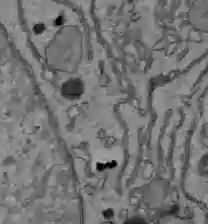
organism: C57BL Mouse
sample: Liver